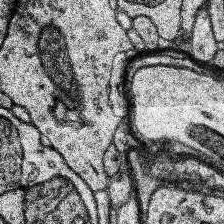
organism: Human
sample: Temporal Lobe